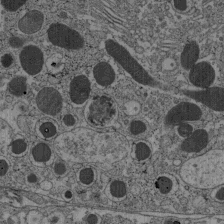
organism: C57BL Mouse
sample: Pancreatic islet